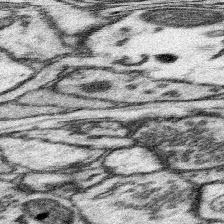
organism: Mouse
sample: Somatosensory cortex neuropil